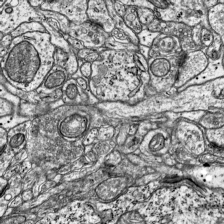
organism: Mouse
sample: Visual Cortex